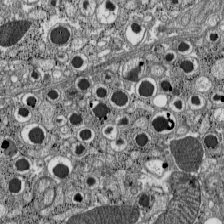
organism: C57BL Mouse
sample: Pancreatic islet